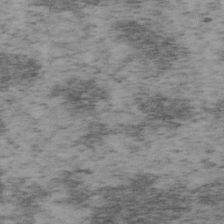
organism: Mouse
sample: OT-I killer T cells with ID8 ovarian cancer cells